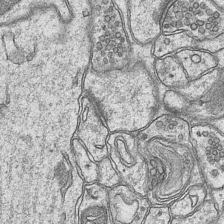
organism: Mouse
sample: CA1 Hippocampus